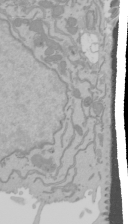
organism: Mouse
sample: Cancer cell death in ED-1 cells